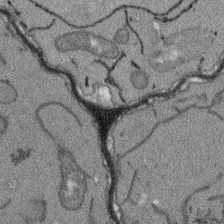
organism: Arabidopsis thaliana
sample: Root tip